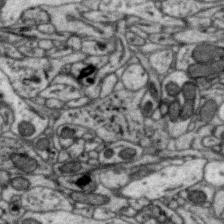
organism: Zebra finch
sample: Brain